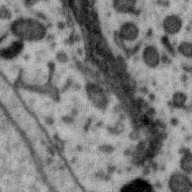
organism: Zebra finch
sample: Brain